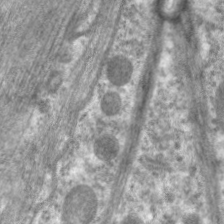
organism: C. elegans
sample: Pharynx